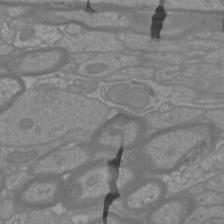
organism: Mouse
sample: Cortical neurons